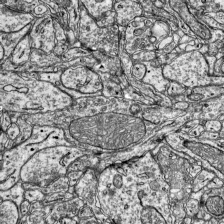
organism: Mouse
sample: Visual Cortex